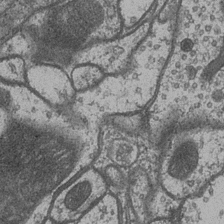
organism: Drosophila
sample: Optic medulla